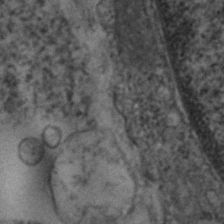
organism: Human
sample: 1205lu cells